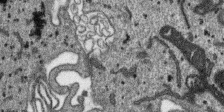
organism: Human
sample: Lung epithelial cells infected with SARS-CoV-2